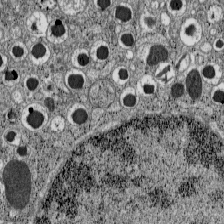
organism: C57BL Mouse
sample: Pancreatic islet